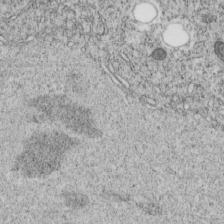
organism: C. elegans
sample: C. elegans embryo early stage